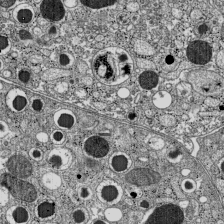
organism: C57BL Mouse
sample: Pancreatic islet